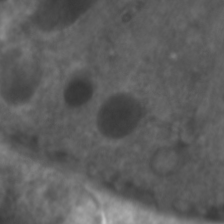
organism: C. elegans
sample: Pharynx